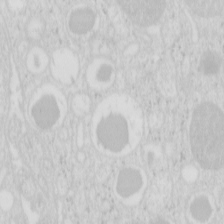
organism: Mouse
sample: Pancreas